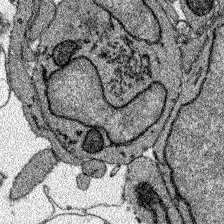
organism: Zebrafish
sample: Larval olfactory bulb